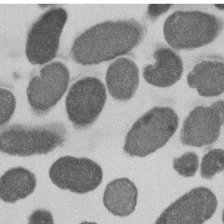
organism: E. coli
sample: Bacterial nucleoid